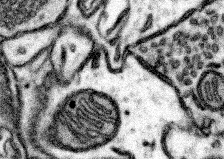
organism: Mouse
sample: Somatosensory cortex neuropil